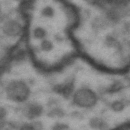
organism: Drosophila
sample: Brain